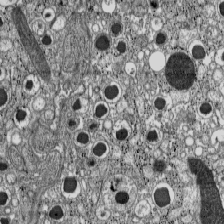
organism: C57BL Mouse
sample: Pancreatic islet